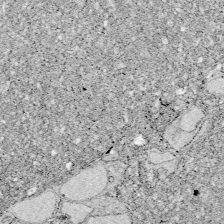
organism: Zebrafish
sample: Whole-Brain